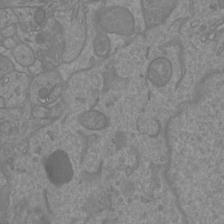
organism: Mouse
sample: Cortical neurons